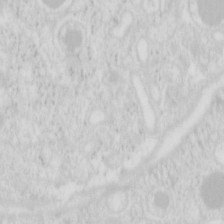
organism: Mouse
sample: Pancreas